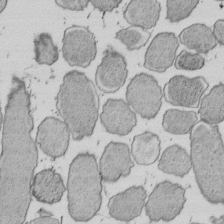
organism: E. coli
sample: Bacterial nucleoid